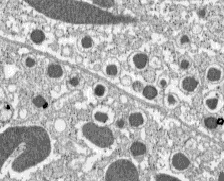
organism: C57BL Mouse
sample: Pancreatic islet